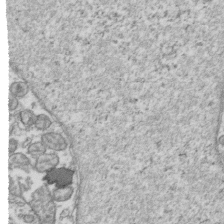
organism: Human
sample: Activated Jurkat CD4+ T cells